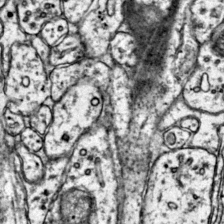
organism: Mouse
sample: Primary visual cortex